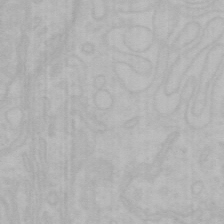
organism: Mouse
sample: Choroid plexus